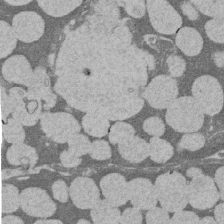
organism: Rat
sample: Salivary granule